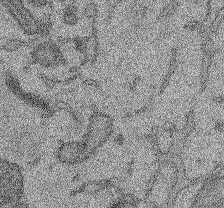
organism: Human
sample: HeLa cells